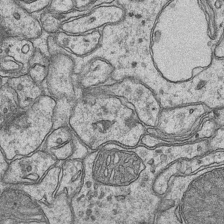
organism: Mouse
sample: CA1 Hippocampus